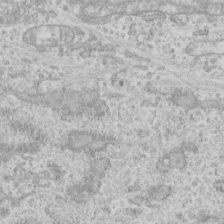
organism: Human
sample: CRL-1474